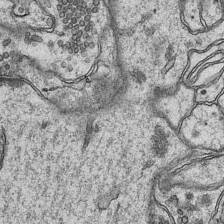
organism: Mouse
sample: CA1 Hippocampus